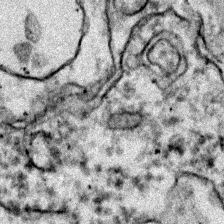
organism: Zebrafish